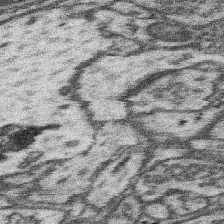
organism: Mouse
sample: Somatosensory cortex neuropil